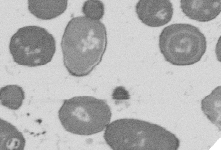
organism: B. subtilis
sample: Bacterial spore